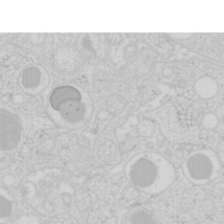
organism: Mouse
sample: Pancreas